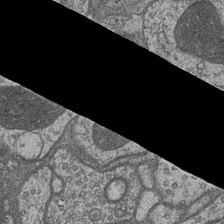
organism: Drosophila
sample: Optic medulla